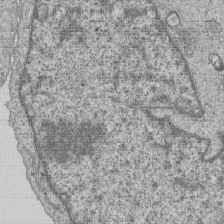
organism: Human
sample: MDA-MB-231 cells